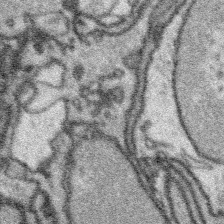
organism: Platynereis dumerilii